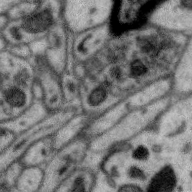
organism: Zebra finch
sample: Brain